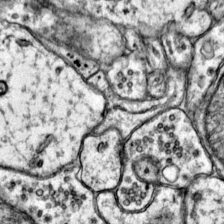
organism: Mouse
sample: Primary visual cortex